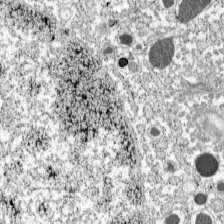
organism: C57BL Mouse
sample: Pancreatic islet